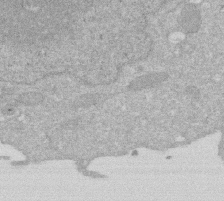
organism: Human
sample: HIV infected U937 cells